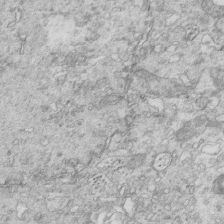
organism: Mouse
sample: Multiciliated cells